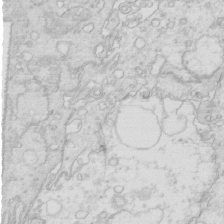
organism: Mouse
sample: Multiciliated cells